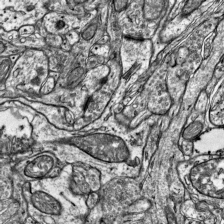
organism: Mouse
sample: Visual Cortex